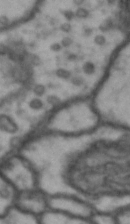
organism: Drosophila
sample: Brain